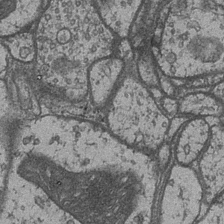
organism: Drosophila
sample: Optic medulla